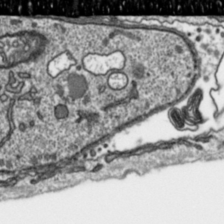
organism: Toxoplasma gondii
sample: Parasites in a vacuole inside a host cell